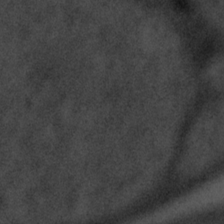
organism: Tuwongella immobilis